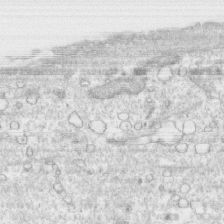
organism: Human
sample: CRL-1474